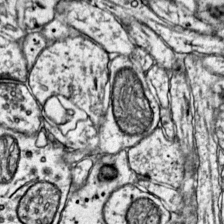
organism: Mouse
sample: Primary visual cortex